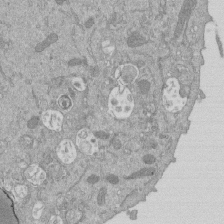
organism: Mouse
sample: ED-1 cell nuclei; centrioles